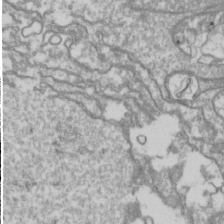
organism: Drosophila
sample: Cell division; meiosis; drosophila spermatocytes